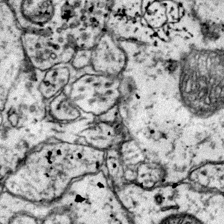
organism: Mouse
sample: Primary visual cortex